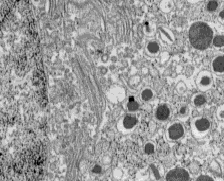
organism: C57BL Mouse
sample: Pancreatic islet